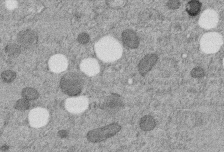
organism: C. elegans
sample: C. elegans embryo early stage